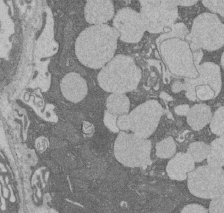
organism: Rat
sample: Salivary granule